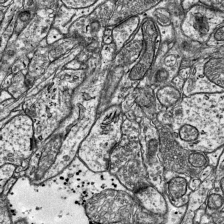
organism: Mouse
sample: Visual Cortex